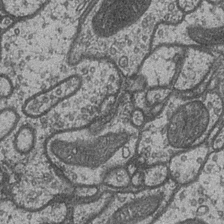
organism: Drosophila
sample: Optic medulla